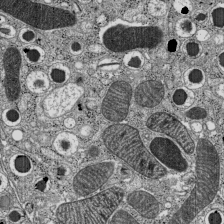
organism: C57BL Mouse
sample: Pancreatic islet